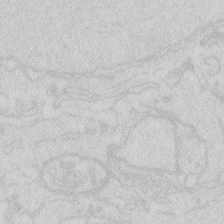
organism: Zebrafish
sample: Macrophage